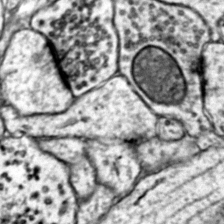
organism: Mouse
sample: Primary visual cortex